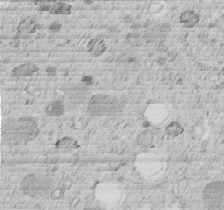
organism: C. elegans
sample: C. elegans embryo early stage